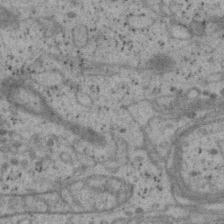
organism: Human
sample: HeLa cells